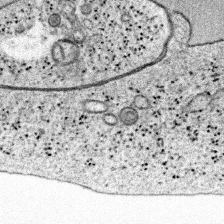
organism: Human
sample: HeLa cells